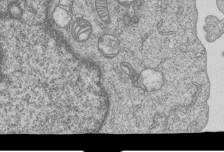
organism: Human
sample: MDA-MB-231 cells